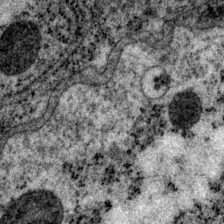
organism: P. pacificus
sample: Pharynx